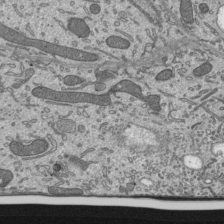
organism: Mouse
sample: Mouse epididymis efferent ductule cilia